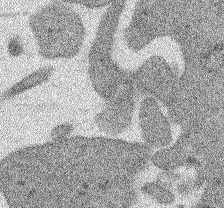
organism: Human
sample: HeLa cells